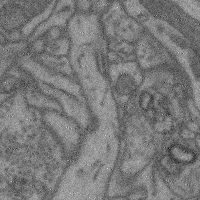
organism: Mouse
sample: Cerebral cortex